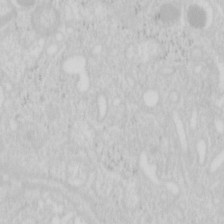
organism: Mouse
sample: Pancreas